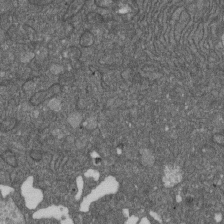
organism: Drosophila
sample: Nephrocyte